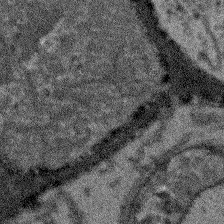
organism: Arabidopsis thaliana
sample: Root tip